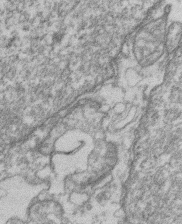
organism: Mouse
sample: T cell stromal cell synapse